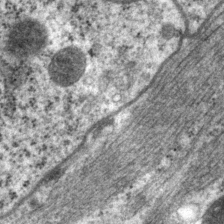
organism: P. pacificus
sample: Pharynx